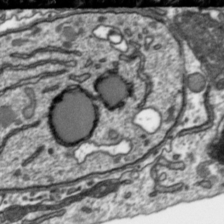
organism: Toxoplasma gondii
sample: Parasites in a vacuole inside a host cell